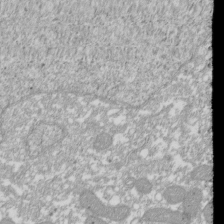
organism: Xenopus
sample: Cilia; centrioles in frog embryo cells